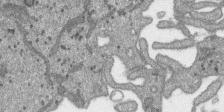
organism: Human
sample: Lung epithelial cells infected with SARS-CoV-2